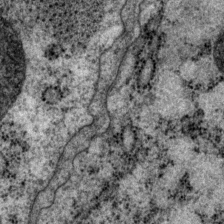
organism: P. pacificus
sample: Pharynx